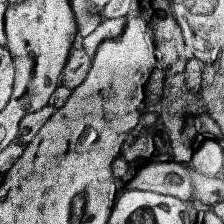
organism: Human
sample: Temporal Lobe